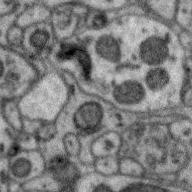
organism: Zebra finch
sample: Brain